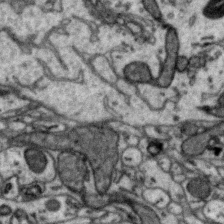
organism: Zebra finch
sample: Brain